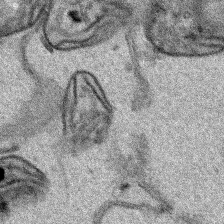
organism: Human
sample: Mitochondria in HCT116 cells